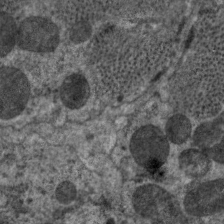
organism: C. elegans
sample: Pharynx